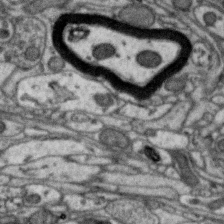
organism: Zebra finch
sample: Brain